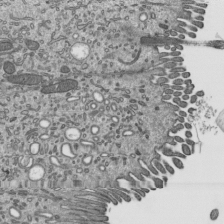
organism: Mouse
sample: Mouse epididymis efferent ductule cilia